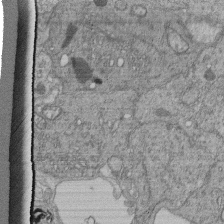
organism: Human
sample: Retinal organoid Rod and Cone cells